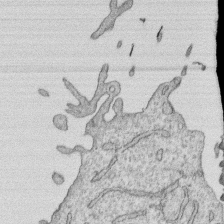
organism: Human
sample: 1205lu cells